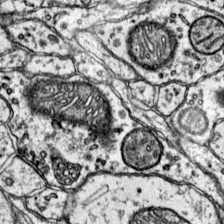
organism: Mouse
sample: Primary visual cortex